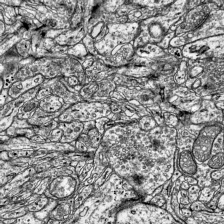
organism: Mouse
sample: Visual Cortex